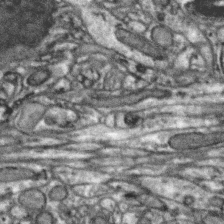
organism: Zebra finch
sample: Brain